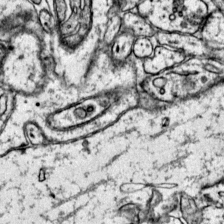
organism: Mouse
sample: Primary visual cortex